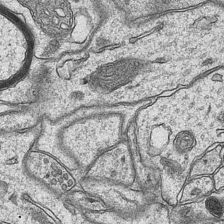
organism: Mouse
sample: CA1 Hippocampus